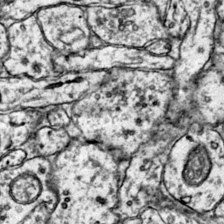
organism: Mouse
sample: Primary visual cortex